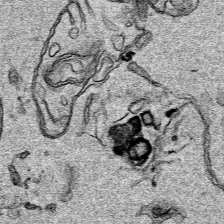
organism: Human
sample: Mitochondria in HCT116 cells